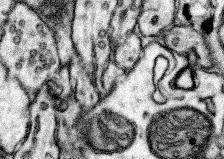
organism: Mouse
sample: Somatosensory cortex neuropil